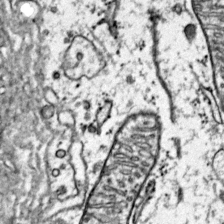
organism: Mouse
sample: Primary visual cortex